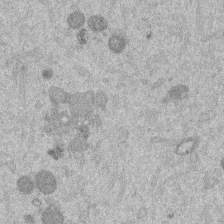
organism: Mouse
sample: Dividing mouse embryo 1 cell stage